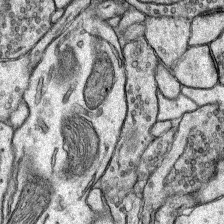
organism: Rat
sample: Hippocampus